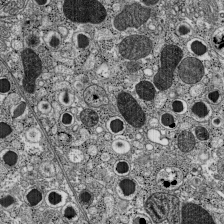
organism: C57BL Mouse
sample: Pancreatic islet